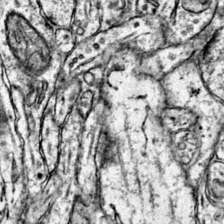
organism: Mouse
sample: Primary visual cortex